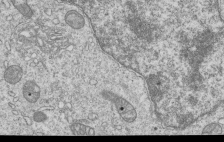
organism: Human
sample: MDA-MB-231 cells